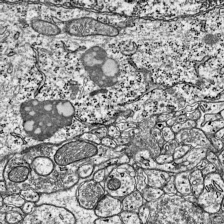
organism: Mouse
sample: Visual Cortex